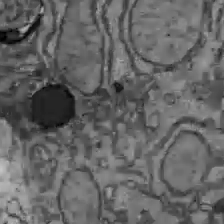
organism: C57BL Mouse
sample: Liver